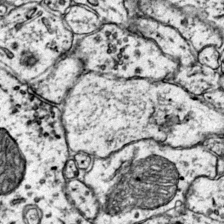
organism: Mouse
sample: Primary visual cortex